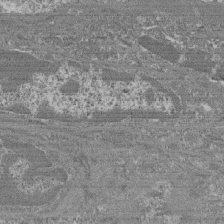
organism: Mouse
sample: Glomerulus